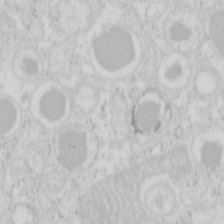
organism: Mouse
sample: Pancreas